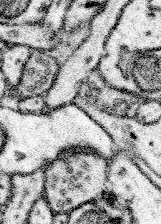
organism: Mouse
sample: Somatosensory cortex neuropil